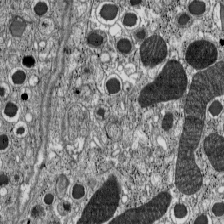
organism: C57BL Mouse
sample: Pancreatic islet